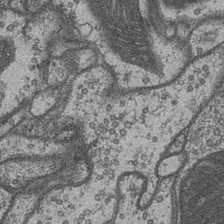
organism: Drosophila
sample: Optic medulla